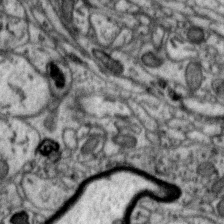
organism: Zebra finch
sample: Brain